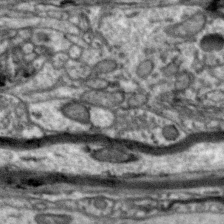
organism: Zebra finch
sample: Brain